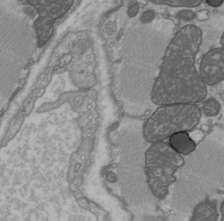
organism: C57BL Mouse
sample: Heart